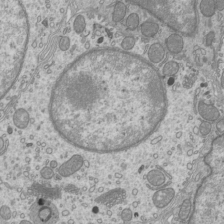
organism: Mouse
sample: Cilia; mouse epididymis